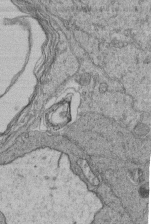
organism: Human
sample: Retinal organoid Rod and Cone cells